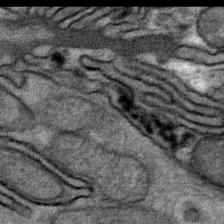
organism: Mouse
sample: Mouse Salivary gland